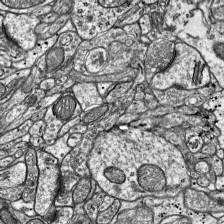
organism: Mouse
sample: Visual Cortex